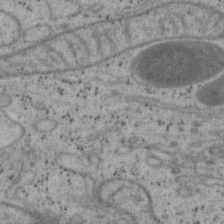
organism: Human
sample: HeLa cells